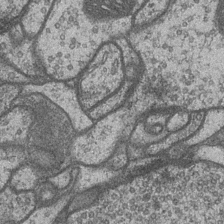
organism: Drosophila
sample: Optic medulla